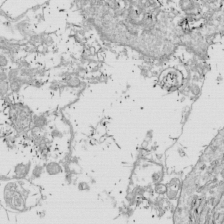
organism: Drosophila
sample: Cell division; meiosis; drosophila spermatocytes